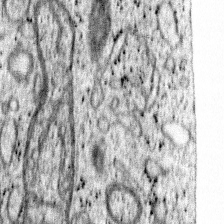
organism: Human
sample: HeLa cells